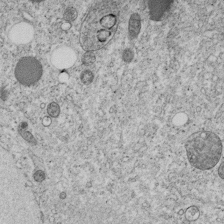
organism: C. elegans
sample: C. elegans embryo early stage